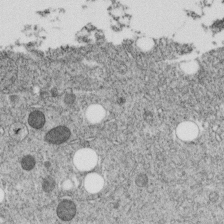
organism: C. elegans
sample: C. elegans embryo early stage